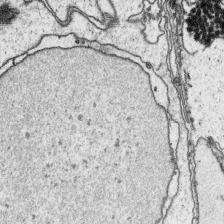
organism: Platynereis dumerilii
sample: Parapodia